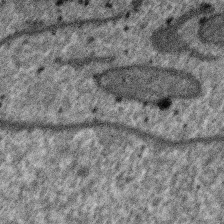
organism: Human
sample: Lung epithelial cells infected with SARS-CoV-2